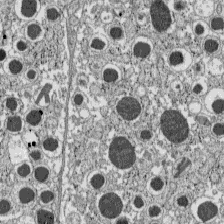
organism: C57BL Mouse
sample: Pancreatic islet